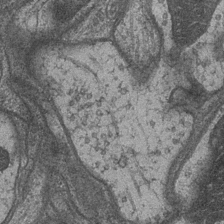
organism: Drosophila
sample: Optic medulla